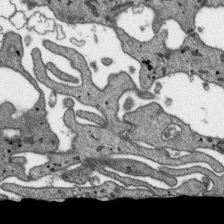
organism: Human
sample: Lung epithelial cells, uninfected (mock) control